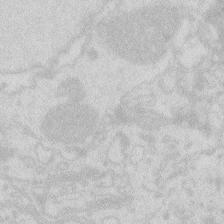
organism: Zebrafish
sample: Macrophage